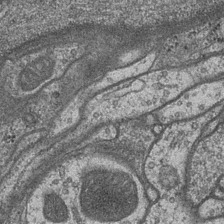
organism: Drosophila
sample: Optic medulla